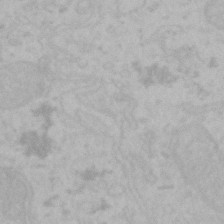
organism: Mouse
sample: Choroid plexus